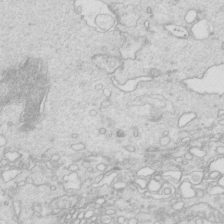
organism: Mouse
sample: Multiciliated cells